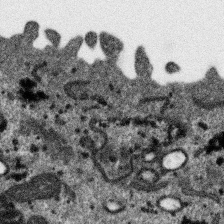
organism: Human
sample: Lung epithelial cells infected with SARS-CoV-2